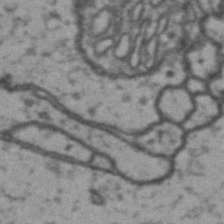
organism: Drosophila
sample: Brain